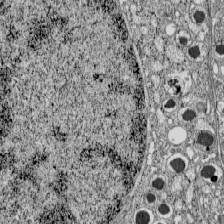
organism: C57BL Mouse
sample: Pancreatic islet